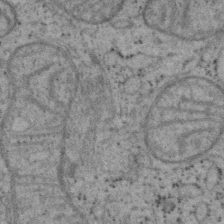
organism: Human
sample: HeLa cells